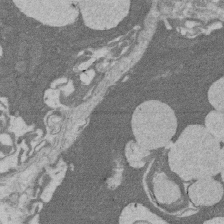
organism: Rat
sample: Salivary granule